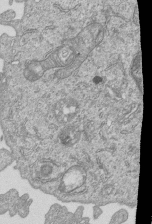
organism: Human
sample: MDA-MB-231 cells